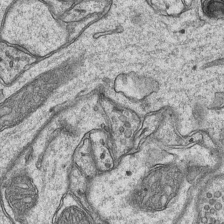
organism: Mouse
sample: CA1 Hippocampus